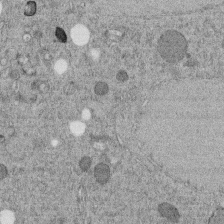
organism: C. elegans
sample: C. elegans embryo early stage